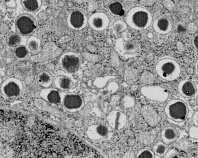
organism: C57BL Mouse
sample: Pancreatic islet